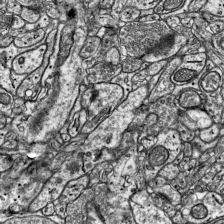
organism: Mouse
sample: Visual Cortex